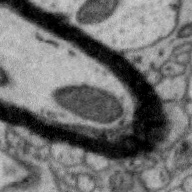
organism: Zebra finch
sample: Brain